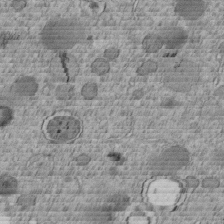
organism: C. elegans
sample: C. elegans embryo early stage